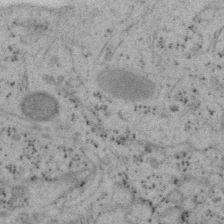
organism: Human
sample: HeLa cells